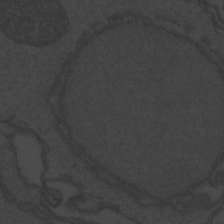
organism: Zebrafish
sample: Macrophage infected with Toxoplasma gondii